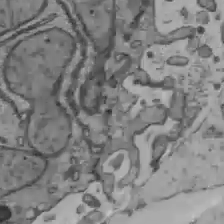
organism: C57BL Mouse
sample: Liver